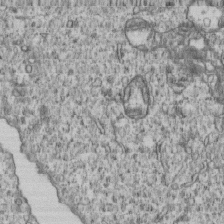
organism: Human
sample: MDA-MB-231 cells